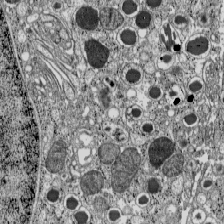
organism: C57BL Mouse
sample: Pancreatic islet